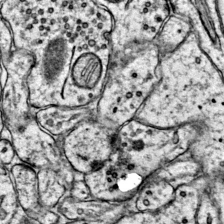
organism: Mouse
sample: Primary visual cortex